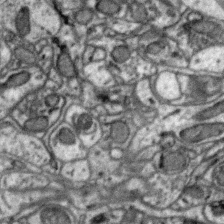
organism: Zebra finch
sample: Brain